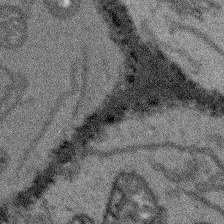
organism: Arabidopsis thaliana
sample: Root tip